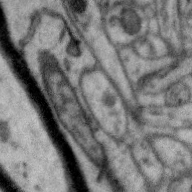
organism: Zebra finch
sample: Brain